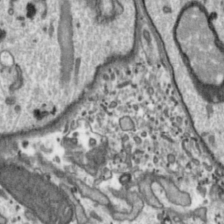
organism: Toxoplasma gondii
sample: Parasites in a vacuole inside a host cell